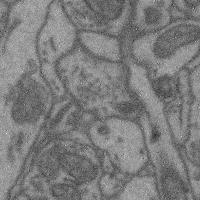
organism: Mouse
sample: Cerebral cortex